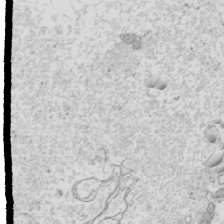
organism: Mouse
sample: Cilia; mouse epididymis